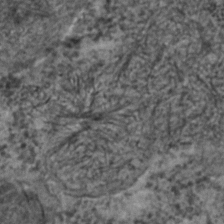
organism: C. elegans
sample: C. elegans embryo